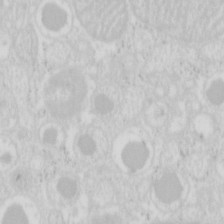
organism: Mouse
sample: Pancreas